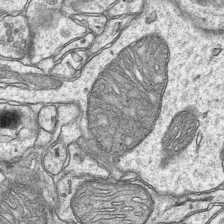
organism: Mouse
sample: CA1 Hippocampus